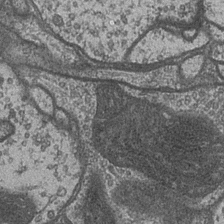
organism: Drosophila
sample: Optic medulla